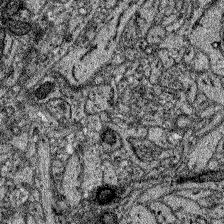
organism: Zebrafish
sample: Larval olfactory bulb